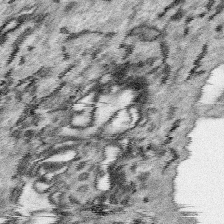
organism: Human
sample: HeLa cells